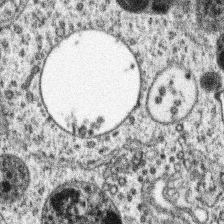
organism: Human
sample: HeLa cells